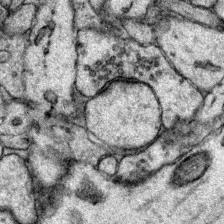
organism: Mouse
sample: Primary visual cortex